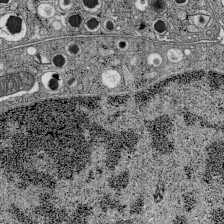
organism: C57BL Mouse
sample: Pancreatic islet